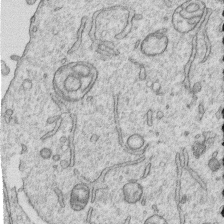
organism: Human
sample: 1205lu cells